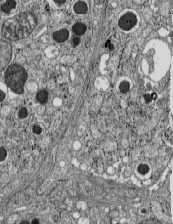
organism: C57BL Mouse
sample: Pancreatic islet